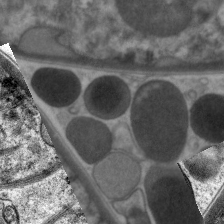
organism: C. elegans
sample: Pharynx